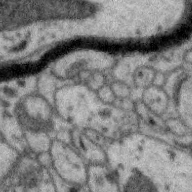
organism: Zebra finch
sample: Brain